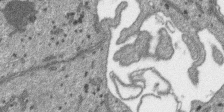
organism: Human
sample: Lung epithelial cells infected with SARS-CoV-2